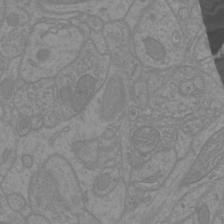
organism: Mouse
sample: Cortical neurons